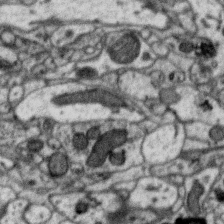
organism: Zebra finch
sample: Brain